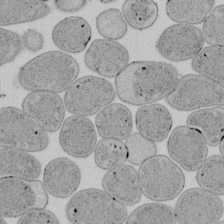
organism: E. coli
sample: Bacterial nucleoid